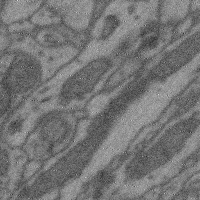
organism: Mouse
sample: Cerebral cortex